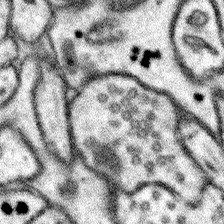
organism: Mouse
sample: Somatosensory cortex neuropil